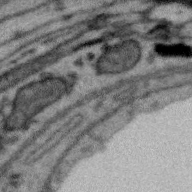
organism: Zebra finch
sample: Brain